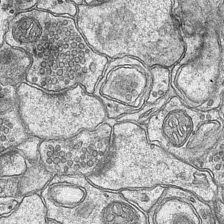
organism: Mouse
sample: CA1 Hippocampus